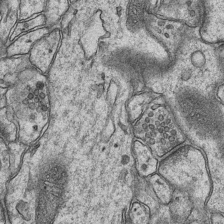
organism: Mouse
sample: CA1 Hippocampus